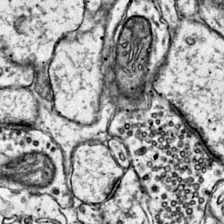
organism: Mouse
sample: Primary visual cortex